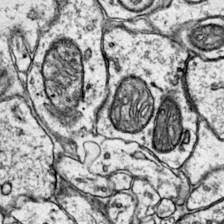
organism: Mouse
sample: Primary visual cortex